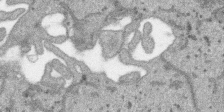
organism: Human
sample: Lung epithelial cells infected with SARS-CoV-2